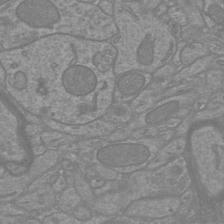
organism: Mouse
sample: Cortical neurons